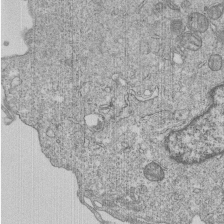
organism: Human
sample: MDA-MB-231 cells